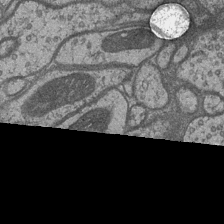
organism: Drosophila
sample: Optic medulla